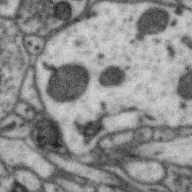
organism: Zebra finch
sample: Brain